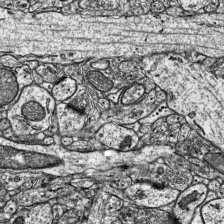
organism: Mouse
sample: Visual Cortex